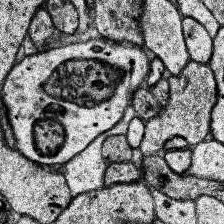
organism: Human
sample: Temporal Lobe